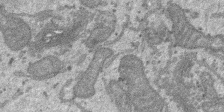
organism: Human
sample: Lung epithelial cells infected with SARS-CoV-2